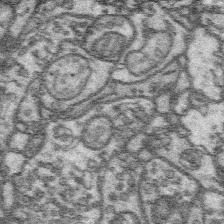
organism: Platynereis dumerilii